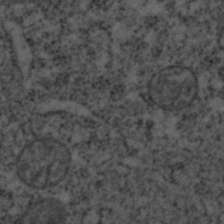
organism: C. elegans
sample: C. elegans embryo